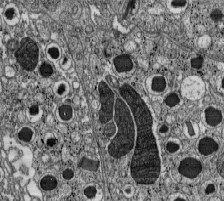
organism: C57BL Mouse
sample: Pancreatic islet